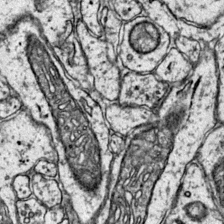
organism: Mouse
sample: Primary visual cortex